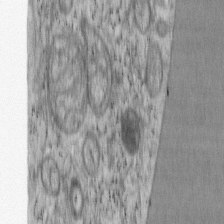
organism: Human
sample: HeLa cells